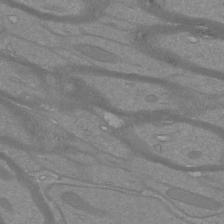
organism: Mouse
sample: Cortical neurons